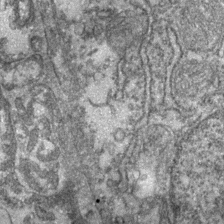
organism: Zebrafish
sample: Zebrafish embryo